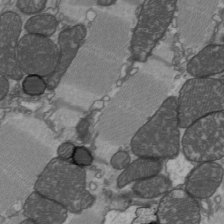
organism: C57BL Mouse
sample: Heart